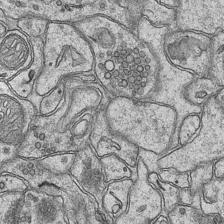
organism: Mouse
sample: CA1 Hippocampus